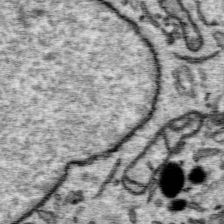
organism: Human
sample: HeLa cells